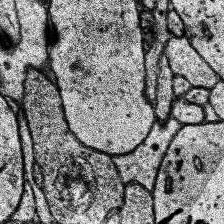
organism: Human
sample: Temporal Lobe